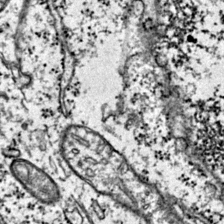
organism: Mouse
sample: Primary visual cortex